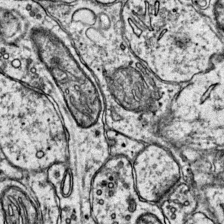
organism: Mouse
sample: Primary visual cortex